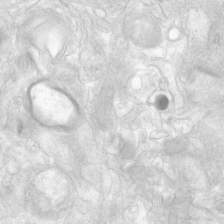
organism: Human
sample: Neocortex